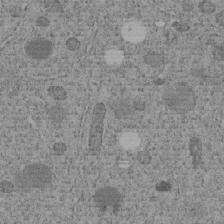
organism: C. elegans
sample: C. elegans embryo early stage